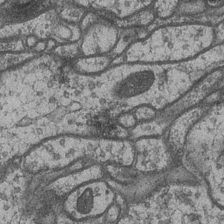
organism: Drosophila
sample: Optic medulla